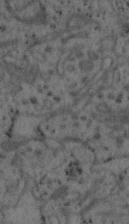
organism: Human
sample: HeLa cells